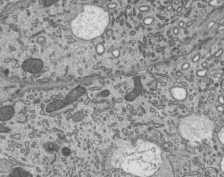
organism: Mouse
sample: Mouse epididymis efferent ductule cilia